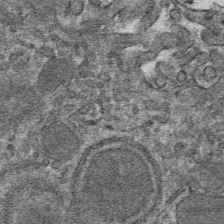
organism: Mouse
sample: Mouse hepatocytes